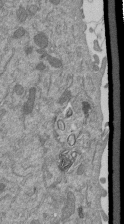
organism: Mouse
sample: ED-1 cell nuclei; centrioles